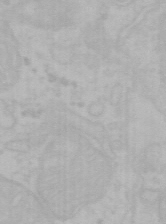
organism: Mouse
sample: Choroid plexus